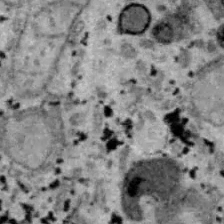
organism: Mouse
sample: Liver from an obese (ob/ob) mouse